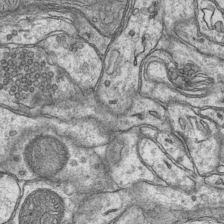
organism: Mouse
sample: CA1 Hippocampus